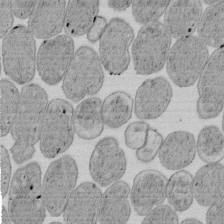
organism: E. coli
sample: Bacterial nucleoid